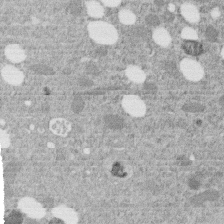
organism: C. elegans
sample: C. elegans embryo early stage